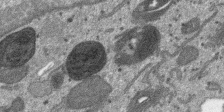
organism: Human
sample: Lung epithelial cells infected with SARS-CoV-2